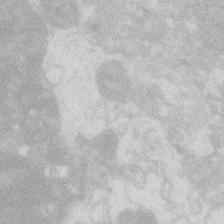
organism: Zebrafish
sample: Macrophage